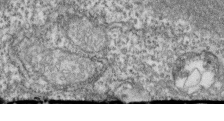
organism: Zebrafish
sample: Cilia; retinal pigment epithelium